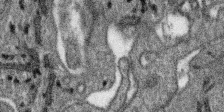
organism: Human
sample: Lung epithelial cells infected with SARS-CoV-2